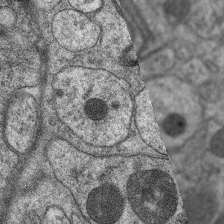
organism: C. elegans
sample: Pharynx